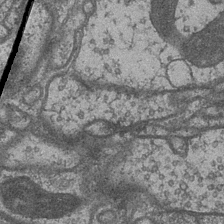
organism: Drosophila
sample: Optic medulla